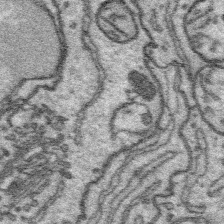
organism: Platynereis dumerilii